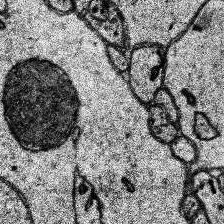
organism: Human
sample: Temporal Lobe